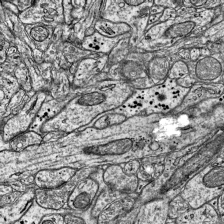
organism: Mouse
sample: Visual Cortex